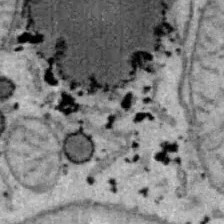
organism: Mouse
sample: Liver from an obese (ob/ob) mouse